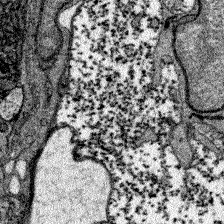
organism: Zebrafish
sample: Larval olfactory bulb